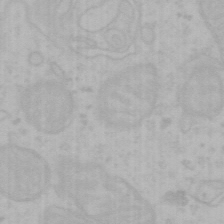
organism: Mouse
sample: Choroid plexus